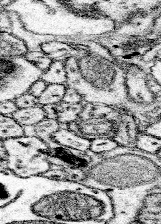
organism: Mouse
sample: Somatosensory cortex neuropil